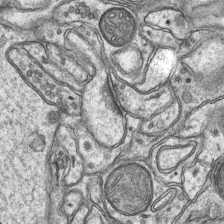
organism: Mouse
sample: CA1 Hippocampus